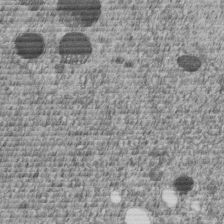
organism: C. elegans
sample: C. elegans embryo early stage